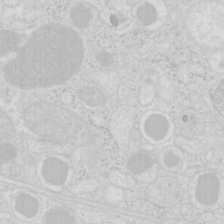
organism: Mouse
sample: Pancreas